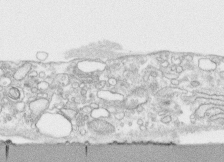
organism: Human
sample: CRL-1474